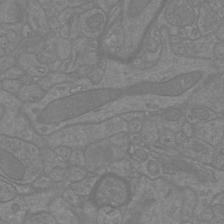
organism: Mouse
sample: Cortical neurons